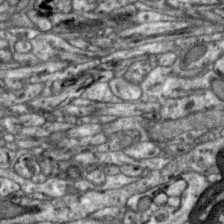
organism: Zebra finch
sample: Brain